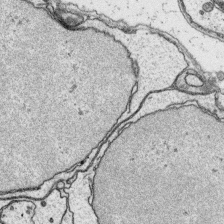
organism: Platynereis dumerilii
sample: Parapodia